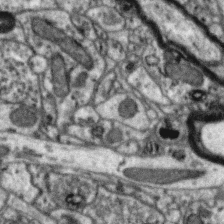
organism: Zebra finch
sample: Brain